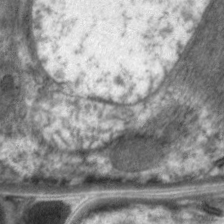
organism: C. elegans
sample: Pharynx